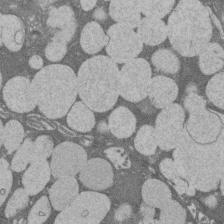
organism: Rat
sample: Salivary granule